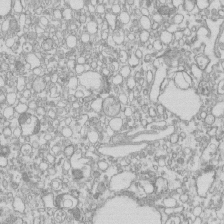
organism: Mouse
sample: Macrophages